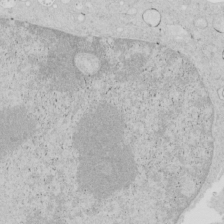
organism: Human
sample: Mitochondria in HCT116 cells